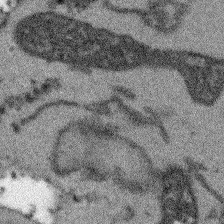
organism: Arabidopsis thaliana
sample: Root tip